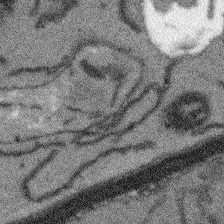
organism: Arabidopsis thaliana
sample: Root tip